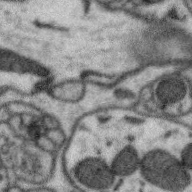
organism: Zebra finch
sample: Brain